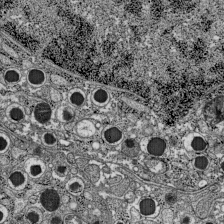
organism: C57BL Mouse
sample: Pancreatic islet